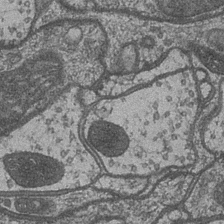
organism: Drosophila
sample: Optic medulla